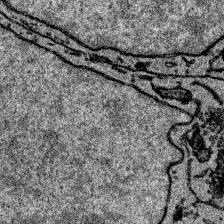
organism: Zebrafish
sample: Larval olfactory bulb